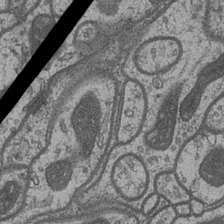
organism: Drosophila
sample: Optic medulla